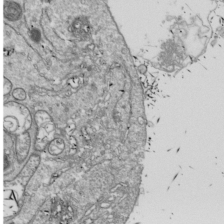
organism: Drosophila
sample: Cell division; meiosis; drosophila spermatocytes